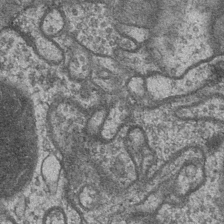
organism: Drosophila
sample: Optic medulla